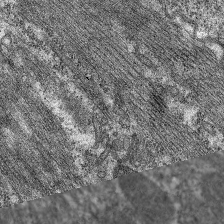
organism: C. elegans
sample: Pharynx